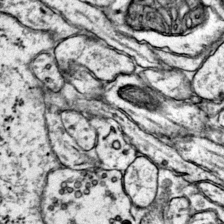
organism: Mouse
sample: Primary visual cortex